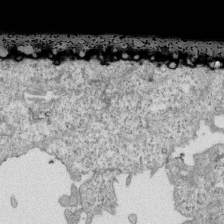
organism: Human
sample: HeLa cell HIV synapse